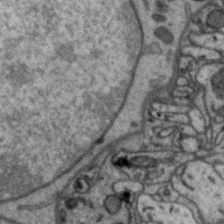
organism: Zebra finch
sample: Brain